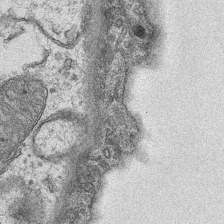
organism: Mouse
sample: CA1 Hippocampus